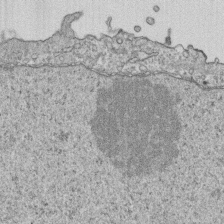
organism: Human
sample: HeLa cell HIV synapse